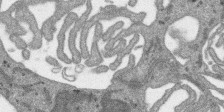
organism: Human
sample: Lung epithelial cells infected with SARS-CoV-2